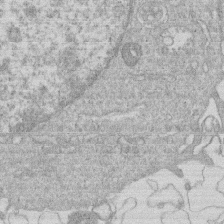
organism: Human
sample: Macrophage cells